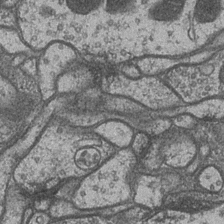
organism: Drosophila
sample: Optic medulla